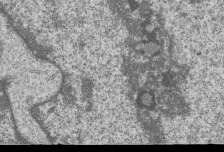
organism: Human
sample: MDA-MB-231 cells